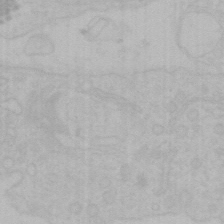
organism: Mouse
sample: Choroid plexus